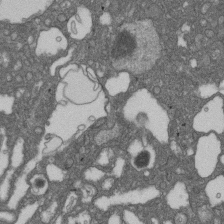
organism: Drosophila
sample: Nephrocyte